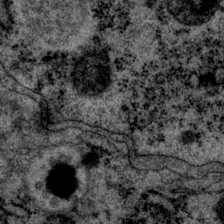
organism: P. pacificus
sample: Pharynx